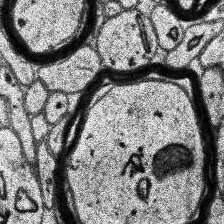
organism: Human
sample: Temporal Lobe